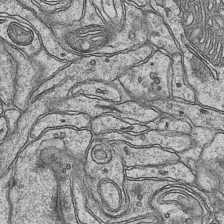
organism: Mouse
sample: CA1 Hippocampus